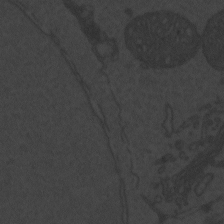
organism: Zebrafish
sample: Macrophage infected with Toxoplasma gondii